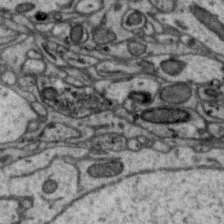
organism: Zebra finch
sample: Brain